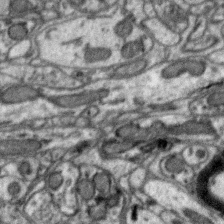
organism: Zebra finch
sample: Brain